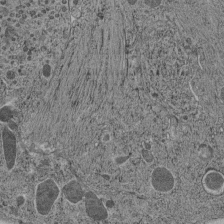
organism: C. elegans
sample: C. elegans pharynx